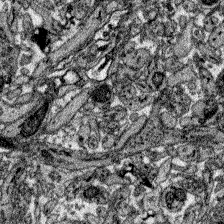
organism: Zebrafish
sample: Larval olfactory bulb